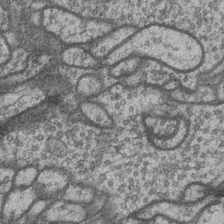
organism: Drosophila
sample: Optic medulla